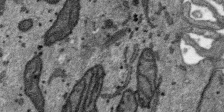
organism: Human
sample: Lung epithelial cells, uninfected (mock) control